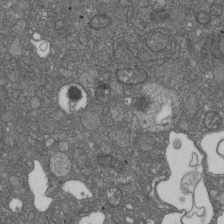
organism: Drosophila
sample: Nephrocyte